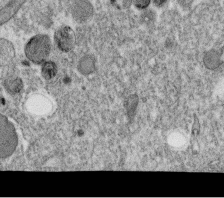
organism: C. elegans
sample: C. elegans oocyte; sperm cells